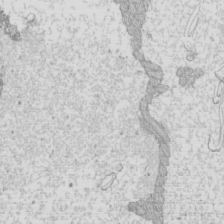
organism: Mouse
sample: Cilia; mouse epididymis